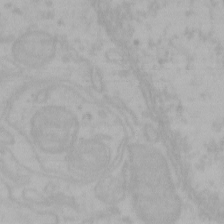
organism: Mouse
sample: Choroid plexus